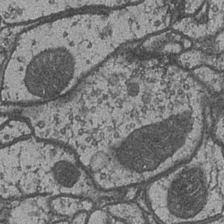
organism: Drosophila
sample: Optic medulla